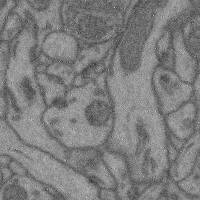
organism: Mouse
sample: Cerebral cortex